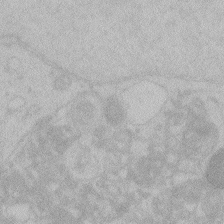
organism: Zebrafish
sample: Macrophage infected with Toxoplasma gondii